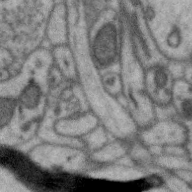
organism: Zebra finch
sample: Brain